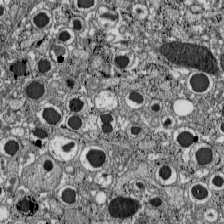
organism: C57BL Mouse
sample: Pancreatic islet